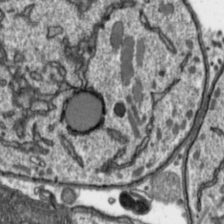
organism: Toxoplasma gondii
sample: Parasites in a vacuole inside a host cell